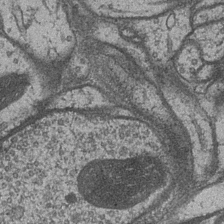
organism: Drosophila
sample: Optic medulla